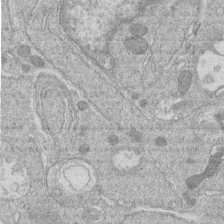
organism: Human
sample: Macrophage cells